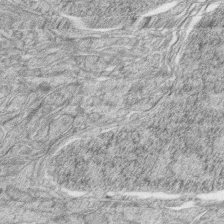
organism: Zebrafish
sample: synaptic ribbons in rod cells and cone cells